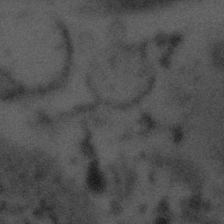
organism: Tuwongella immobilis